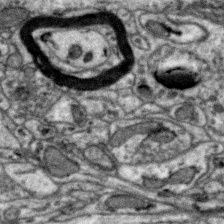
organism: Zebra finch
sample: Brain